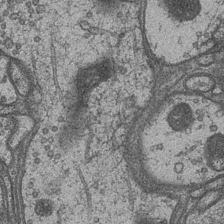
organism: Drosophila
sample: Optic medulla